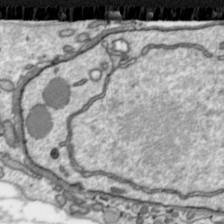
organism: Toxoplasma gondii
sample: Parasites in a vacuole inside a host cell